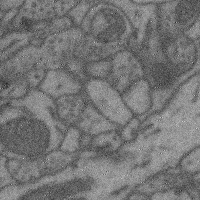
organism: Mouse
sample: Cerebral cortex